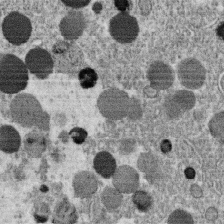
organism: C. elegans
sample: C. elegans oocyte; sperm cells